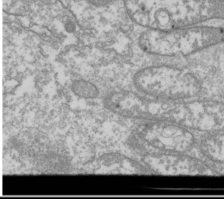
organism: Drosophila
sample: Cell division; meiosis; drosophila spermatocytes